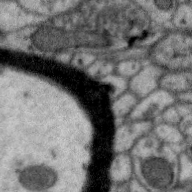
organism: Zebra finch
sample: Brain